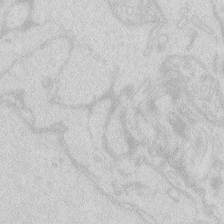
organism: Zebrafish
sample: Macrophage